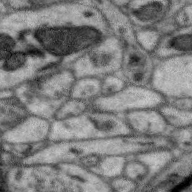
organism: Zebra finch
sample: Brain